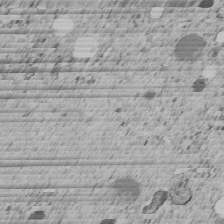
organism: C. elegans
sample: C. elegans embryo early stage